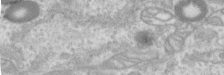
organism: Human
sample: Centriole in RPE cells